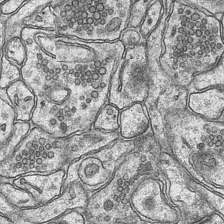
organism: Mouse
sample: CA1 Hippocampus